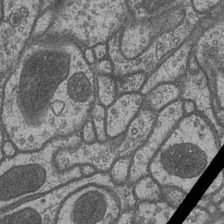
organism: Drosophila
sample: Optic medulla